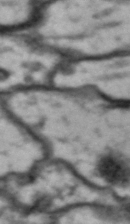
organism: Drosophila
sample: Brain